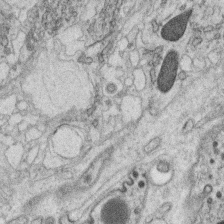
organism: C. elegans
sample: C. elegans oocyte; sperm cells